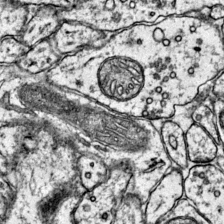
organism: Mouse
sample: Primary visual cortex